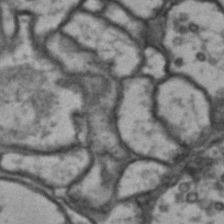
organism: Drosophila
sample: Brain